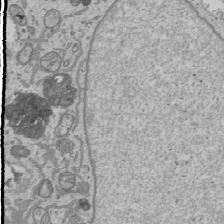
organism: Human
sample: Mitochondria in U2OS cells